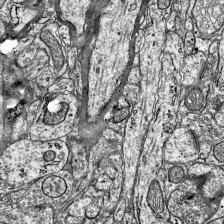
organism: Mouse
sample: Visual Cortex